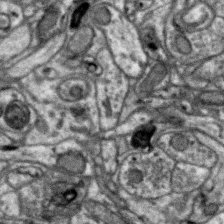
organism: Zebra finch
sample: Brain